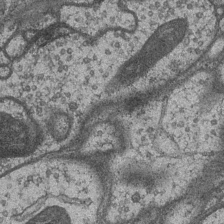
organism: Drosophila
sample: Optic medulla